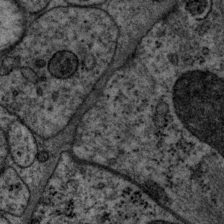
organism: P. pacificus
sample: Pharynx